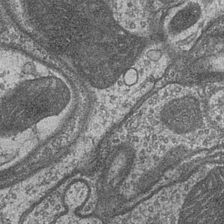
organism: Drosophila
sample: Optic medulla